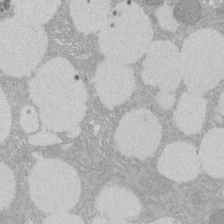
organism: Rat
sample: Salivary granule